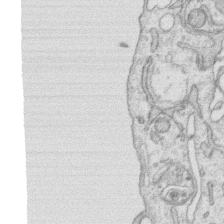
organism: Human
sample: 1205lu cells